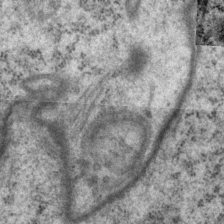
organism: P. pacificus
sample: Pharynx